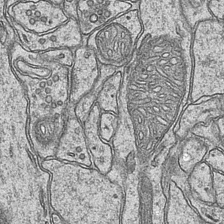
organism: Mouse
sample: CA1 Hippocampus